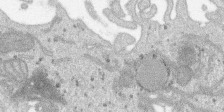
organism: Human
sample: Lung epithelial cells infected with SARS-CoV-2